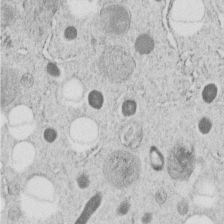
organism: C. elegans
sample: C. elegans embryo early stage